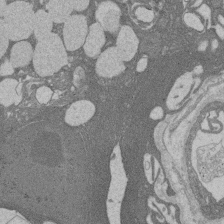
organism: Rat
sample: Salivary granule